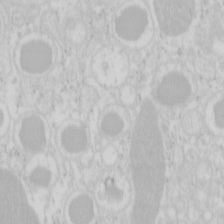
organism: Mouse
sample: Pancreas